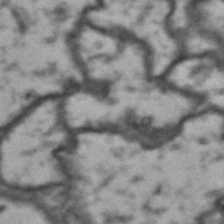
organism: Drosophila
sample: Brain